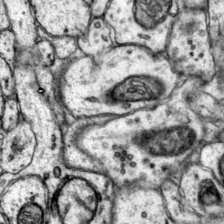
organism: Mouse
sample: Primary visual cortex